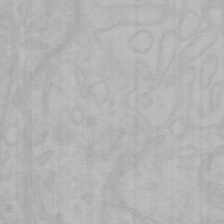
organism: Mouse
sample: Choroid plexus